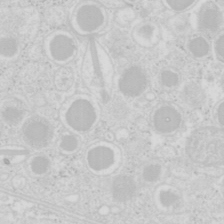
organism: Mouse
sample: Pancreas